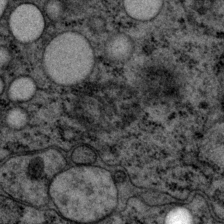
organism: P. pacificus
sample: Pharynx